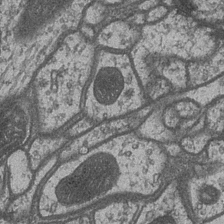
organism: Drosophila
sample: Optic medulla